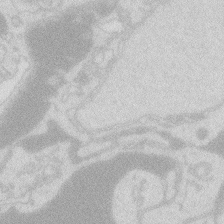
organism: Zebrafish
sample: Macrophage